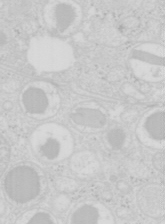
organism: Mouse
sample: Pancreas